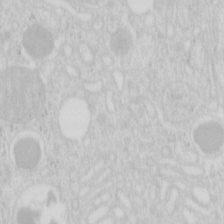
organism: Mouse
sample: Pancreas